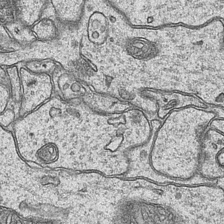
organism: Mouse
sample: CA1 Hippocampus